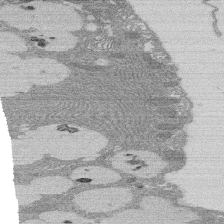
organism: Rat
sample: Salivary granule